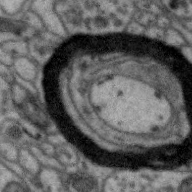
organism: Zebra finch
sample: Brain